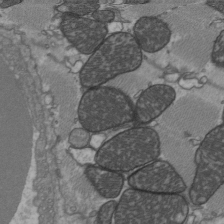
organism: C57BL Mouse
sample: Heart